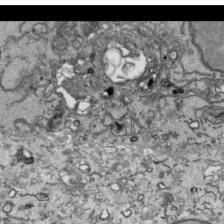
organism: Human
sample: Mitochondria in HCT116 cells